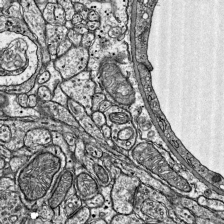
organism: Mouse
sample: Visual Cortex